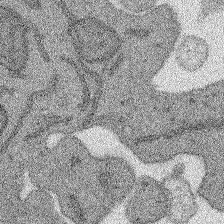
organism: Human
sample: HeLa cells